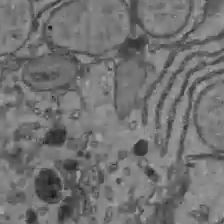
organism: C57BL Mouse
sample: Liver